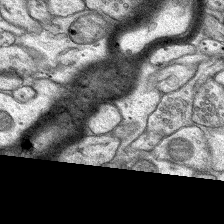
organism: Rat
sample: Hippocampus